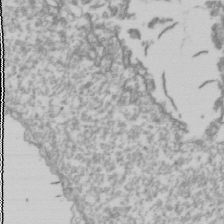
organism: Drosophila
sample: Cell division; meiosis; drosophila spermatocytes